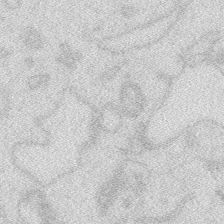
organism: Zebrafish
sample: Macrophage